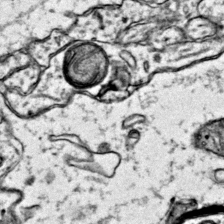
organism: Mouse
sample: Primary visual cortex